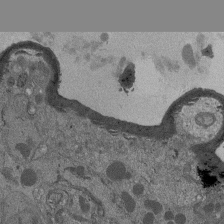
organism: Drosophila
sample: Antenna